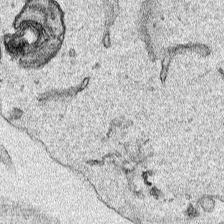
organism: Human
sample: Mitochondria in HCT116 cells